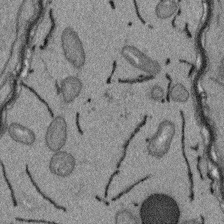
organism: Arabidopsis thaliana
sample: Root tip